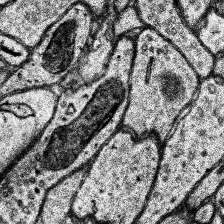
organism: Human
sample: Temporal Lobe